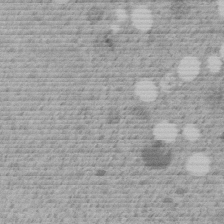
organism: C. elegans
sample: C. elegans embryo early stage